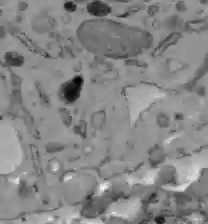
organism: C57BL Mouse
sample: Liver